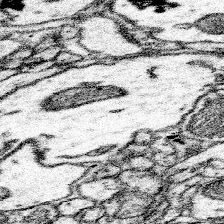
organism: Mouse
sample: Somatosensory cortex neuropil